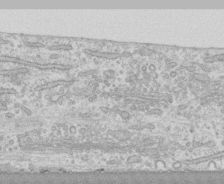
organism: Human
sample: CRL-1474